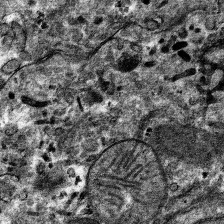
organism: Mouse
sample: Mouse hepatocytes